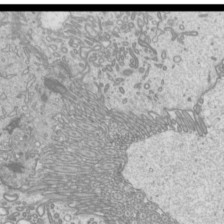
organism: Mouse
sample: Cilia; mouse epididymis